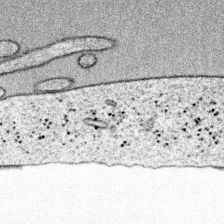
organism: Human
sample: HeLa cells